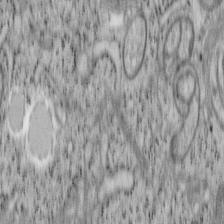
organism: Human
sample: HeLa cells